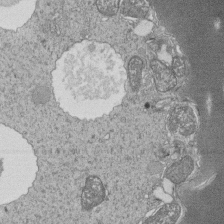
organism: Tetrahymena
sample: Cilia in tetrahymena